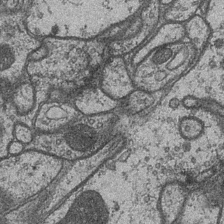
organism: Drosophila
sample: Optic medulla